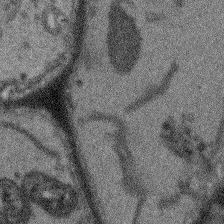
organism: Arabidopsis thaliana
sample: Root tip